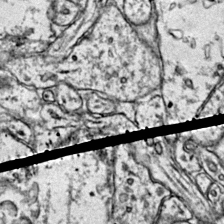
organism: Mouse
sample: Primary visual cortex